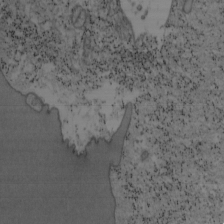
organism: Mouse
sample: OT-I killer T cells with ID8 ovarian cancer cells